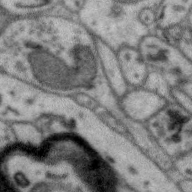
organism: Zebra finch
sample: Brain